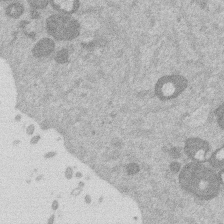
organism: Mouse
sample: Dividing mouse embryo 1 cell stage